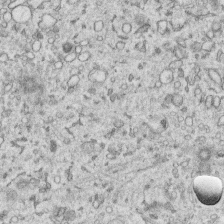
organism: Human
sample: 1205lu cells